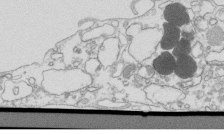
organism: Mouse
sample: Macrophages